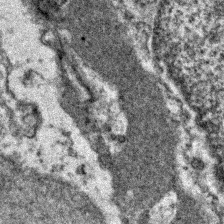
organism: Zebrafish